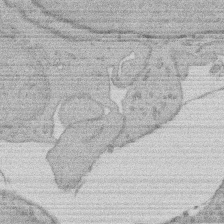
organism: Rat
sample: Salivary granule